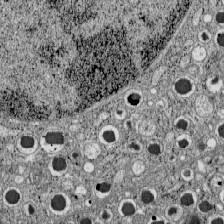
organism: C57BL Mouse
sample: Pancreatic islet